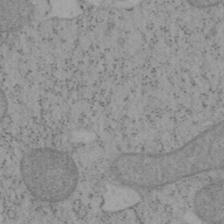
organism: Mouse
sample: OT-I killer T cells with ID8 ovarian cancer cells